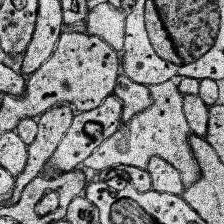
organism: Human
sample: Temporal Lobe